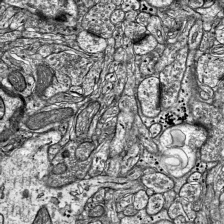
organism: Mouse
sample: Visual Cortex